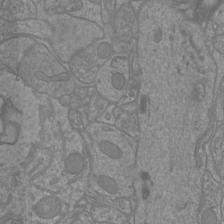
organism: Mouse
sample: Cortical neurons